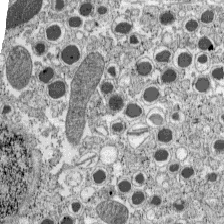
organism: C57BL Mouse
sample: Pancreatic islet